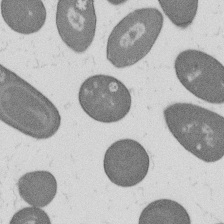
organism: B. subtilis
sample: Bacterial spore